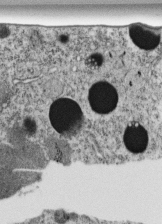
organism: C. elegans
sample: C. elegans embryo early stage